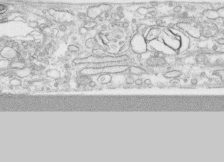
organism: Human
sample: CRL-1474